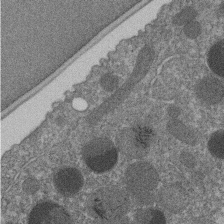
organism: C. elegans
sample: C. elegans embryo early stage